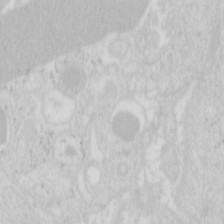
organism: Mouse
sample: Pancreas